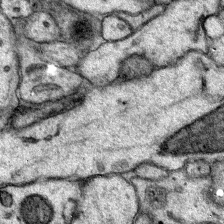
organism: Mouse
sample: Primary visual cortex